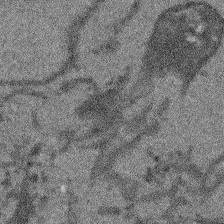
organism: Arabidopsis thaliana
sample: Root tip